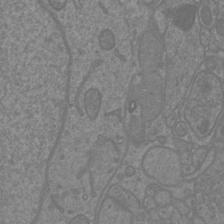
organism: Mouse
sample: Cortical neurons